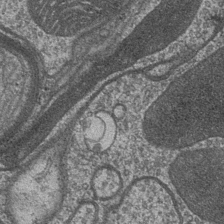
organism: Drosophila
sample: Optic medulla